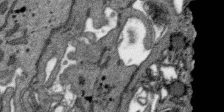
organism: Human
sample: Lung epithelial cells, uninfected (mock) control